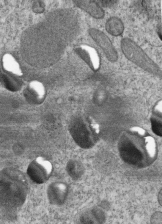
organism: C. elegans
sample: C. elegans embryo early stage